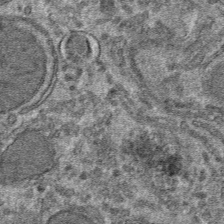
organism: Mouse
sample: Mouse hepatocytes